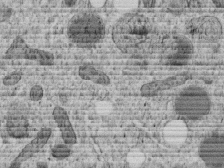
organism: C. elegans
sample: C. elegans embryo early stage